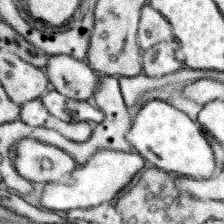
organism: Mouse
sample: Somatosensory cortex neuropil